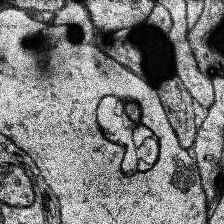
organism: Human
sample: Temporal Lobe